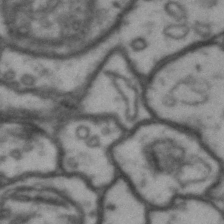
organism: Drosophila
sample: Brain